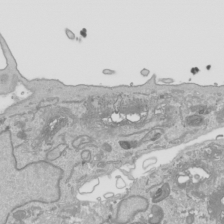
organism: Human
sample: Mitochondria in HCT116 cells